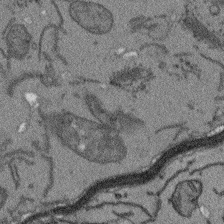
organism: Arabidopsis thaliana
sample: Root tip